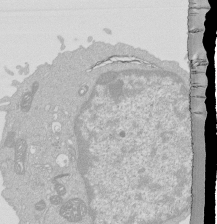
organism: Mouse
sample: Activated Pmel transgenic CD8+ T Cells